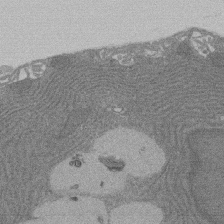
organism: Rat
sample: Salivary granule